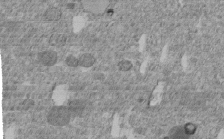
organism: C. elegans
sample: C. elegans embryo early stage